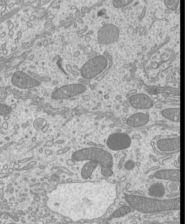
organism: Mouse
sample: Cilia; mouse epididymis